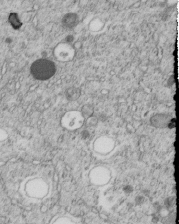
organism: C. elegans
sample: C. elegans embryo early stage